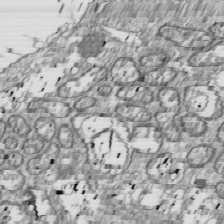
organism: Drosophila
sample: Cell division; meiosis; drosophila spermatocytes